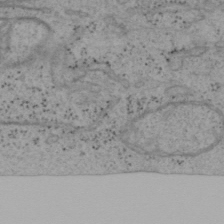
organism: Human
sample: HeLa cells